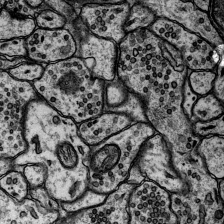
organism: Rat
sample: Hippocampus